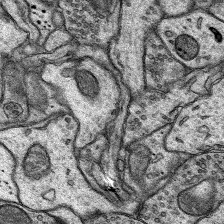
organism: Rat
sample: Hippocampus